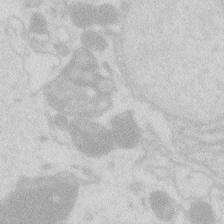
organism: Zebrafish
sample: Macrophage